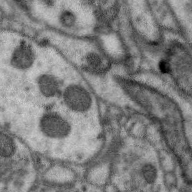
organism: Zebra finch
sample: Brain